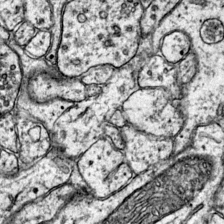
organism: Mouse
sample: Primary visual cortex